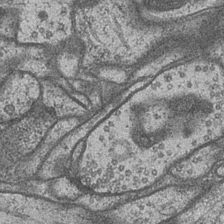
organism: Drosophila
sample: Optic medulla